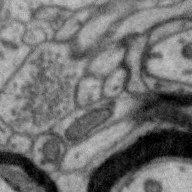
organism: Zebra finch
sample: Brain